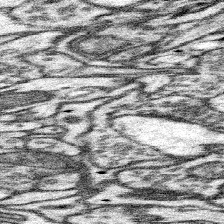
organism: Mouse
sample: Somatosensory cortex neuropil